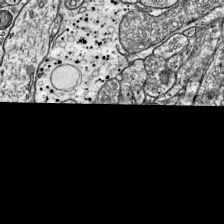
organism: Mouse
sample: Visual Cortex